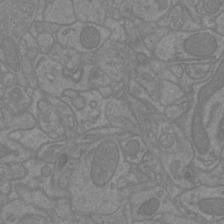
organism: Mouse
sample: Cortical neurons